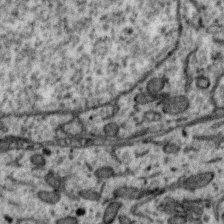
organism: Zebra finch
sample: Brain